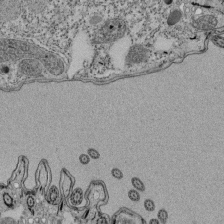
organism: Tetrahymena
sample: Cilia in tetrahymena